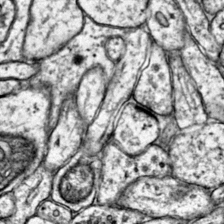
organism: Mouse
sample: Primary visual cortex